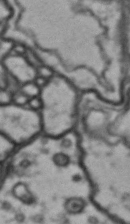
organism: Drosophila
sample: Brain